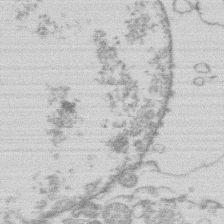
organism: Human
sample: Macrophage cells